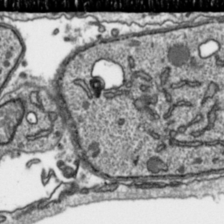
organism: Toxoplasma gondii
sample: Parasites in a vacuole inside a host cell